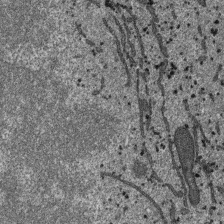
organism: Human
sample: Lung epithelial cells infected with SARS-CoV-2